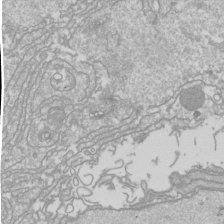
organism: Drosophila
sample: Cell division; meiosis; drosophila spermatocytes